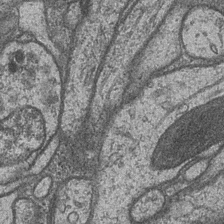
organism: Drosophila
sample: Optic medulla